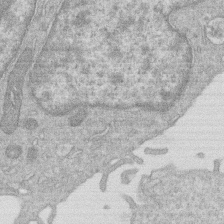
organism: Human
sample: Macrophage cells